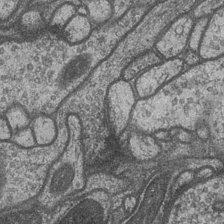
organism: Drosophila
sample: Optic medulla